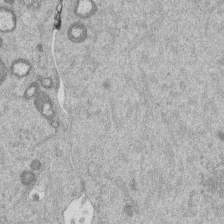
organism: Mouse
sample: Dividing mouse embryo 1 cell stage